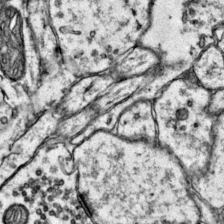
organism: Mouse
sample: Primary visual cortex